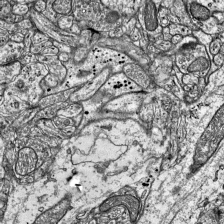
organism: Mouse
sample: Visual Cortex